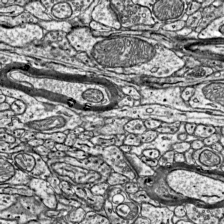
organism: Mouse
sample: Visual Cortex